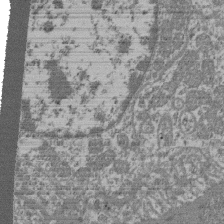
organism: Mouse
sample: Glomerulus